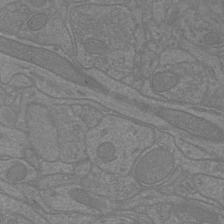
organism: Mouse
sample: Cortical neurons